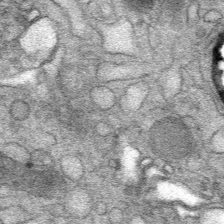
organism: Mouse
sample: Mouse Salivary gland